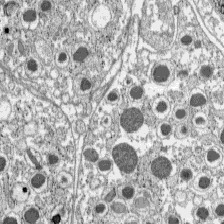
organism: C57BL Mouse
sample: Pancreatic islet